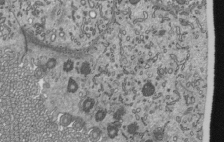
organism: Mouse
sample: Mouse epididymis efferent ductule cilia